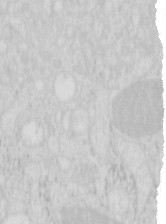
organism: Mouse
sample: Pancreas